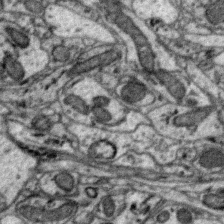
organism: Zebra finch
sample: Brain